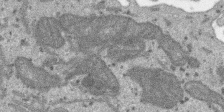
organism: Human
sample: Lung epithelial cells infected with SARS-CoV-2